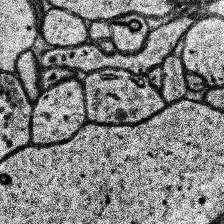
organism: Human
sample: Temporal Lobe